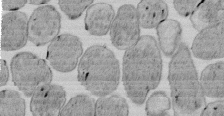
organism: E. coli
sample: Bacterial nucleoid